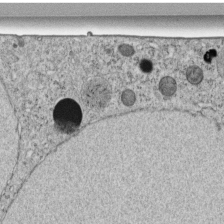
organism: C. elegans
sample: C. elegans embryo early stage